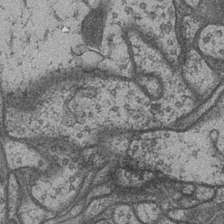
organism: Drosophila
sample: Optic medulla